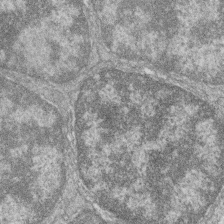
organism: Zebrafish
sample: Cilia; retinal pigment epithelium